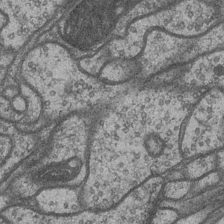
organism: Drosophila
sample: Optic medulla